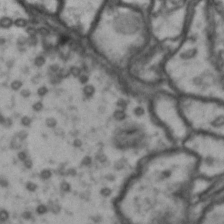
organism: Drosophila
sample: Brain